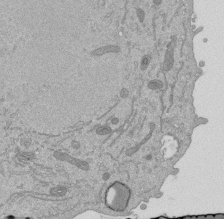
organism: Mouse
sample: ED-1 cell nuclei; centrioles